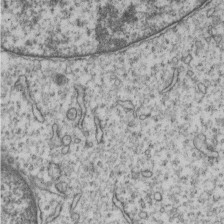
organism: Human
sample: MDA-MB-231 cells